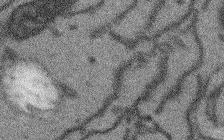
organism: Arabidopsis thaliana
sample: Root tip